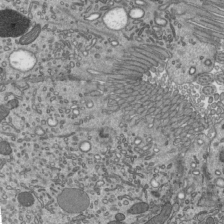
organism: Mouse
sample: Mouse epididymis efferent ductule cilia